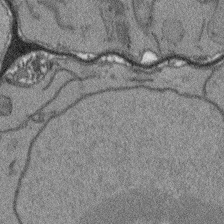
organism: Arabidopsis thaliana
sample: Root tip